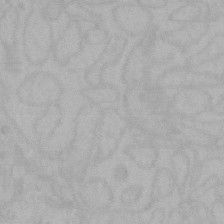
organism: Mouse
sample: Choroid plexus